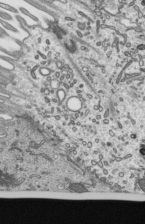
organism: Mouse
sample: Mouse epididymis efferent ductule cilia